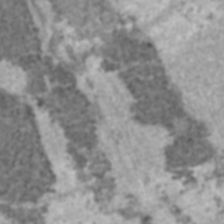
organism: C57BL Mouse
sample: Heart